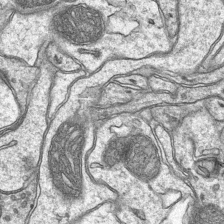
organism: Mouse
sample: CA1 Hippocampus